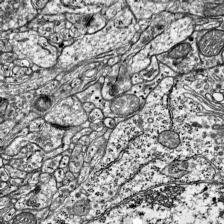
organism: Mouse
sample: Visual Cortex